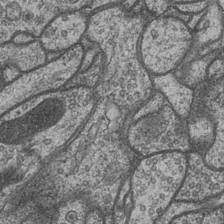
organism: Drosophila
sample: Optic medulla